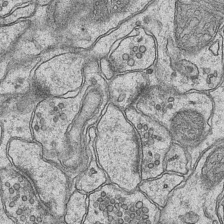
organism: Mouse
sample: CA1 Hippocampus